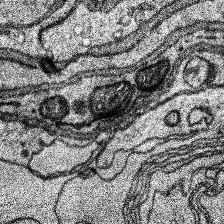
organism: Human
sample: Temporal Lobe